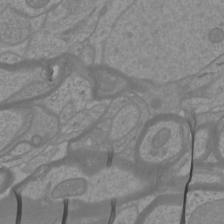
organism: Mouse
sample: Cortical neurons